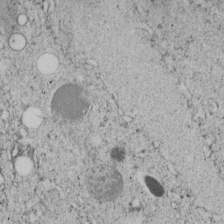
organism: C. elegans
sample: C. elegans embryo early stage